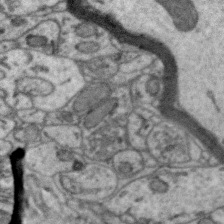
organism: Zebra finch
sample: Brain